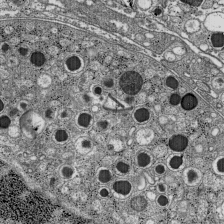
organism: C57BL Mouse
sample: Pancreatic islet